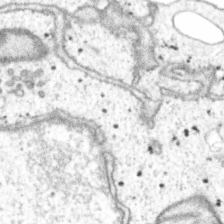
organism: Human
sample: HeLa cells